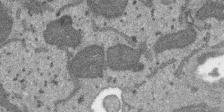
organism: Human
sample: Lung epithelial cells infected with SARS-CoV-2